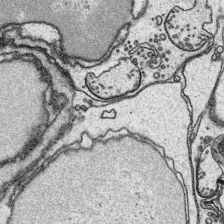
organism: Platynereis dumerilii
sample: Parapodia